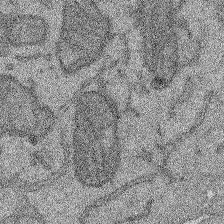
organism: Human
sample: HeLa cells